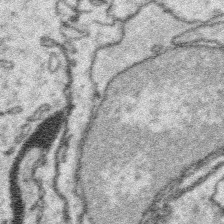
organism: Platynereis dumerilii